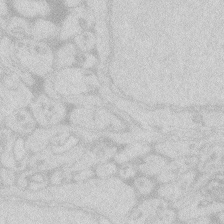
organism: Zebrafish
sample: Macrophage